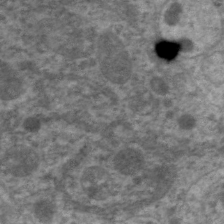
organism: C. elegans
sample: Pharynx